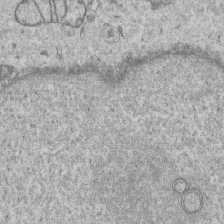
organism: Human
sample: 1205lu cells